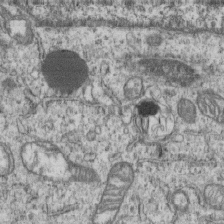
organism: Human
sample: MDA-MB-231 cells